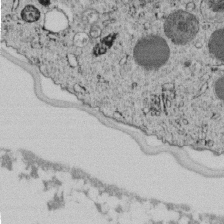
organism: C. elegans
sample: C. elegans embryo early stage